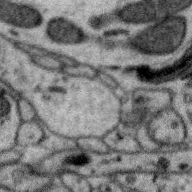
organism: Zebra finch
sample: Brain